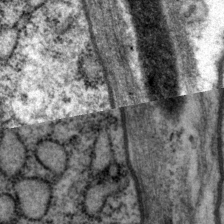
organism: P. pacificus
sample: Pharynx